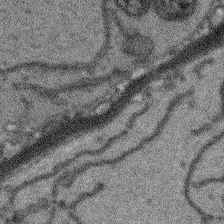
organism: Arabidopsis thaliana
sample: Root tip